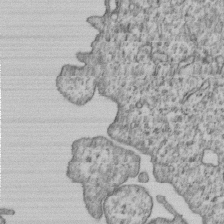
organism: Human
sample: MDA-MB-231 cells